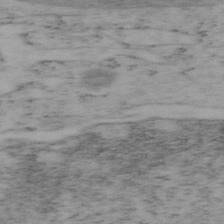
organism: Mouse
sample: OT-I killer T cells with ID8 ovarian cancer cells